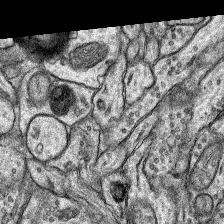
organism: Rat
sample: Hippocampus